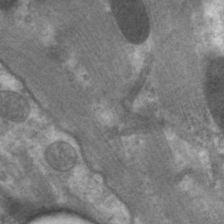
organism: C. elegans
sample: Pharynx